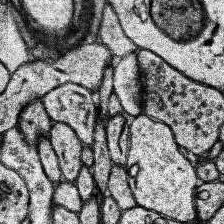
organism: Human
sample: Temporal Lobe